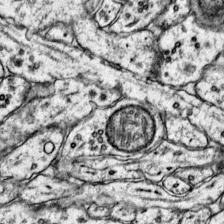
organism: Mouse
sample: Primary visual cortex